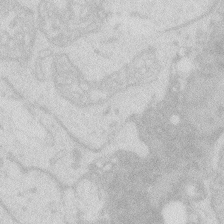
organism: Zebrafish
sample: Macrophage